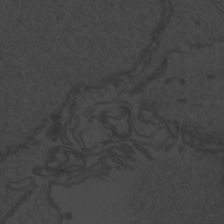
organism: Zebrafish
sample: Macrophage infected with Toxoplasma gondii